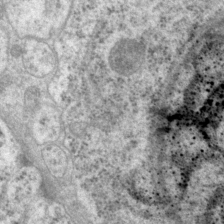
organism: P. pacificus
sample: Pharynx